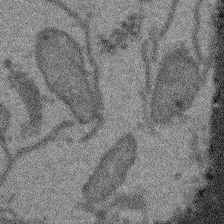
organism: Arabidopsis thaliana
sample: Root tip